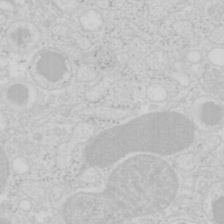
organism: Mouse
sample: Pancreas